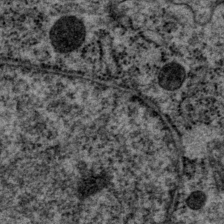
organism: P. pacificus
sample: Pharynx